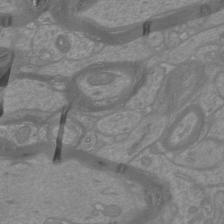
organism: Mouse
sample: Cortical neurons